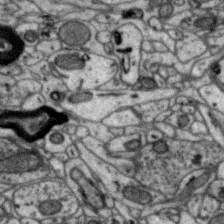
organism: Zebra finch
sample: Brain